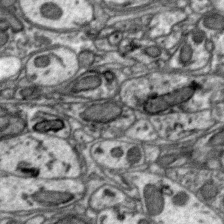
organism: Zebra finch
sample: Brain